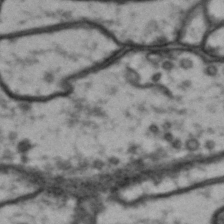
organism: Drosophila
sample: Brain